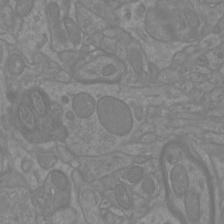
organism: Mouse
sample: Cortical neurons